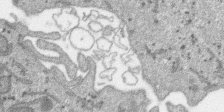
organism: Human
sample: Lung epithelial cells infected with SARS-CoV-2